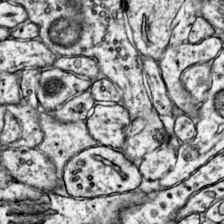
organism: Mouse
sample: Primary visual cortex